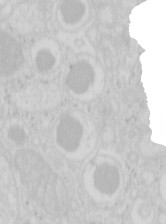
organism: Mouse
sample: Pancreas